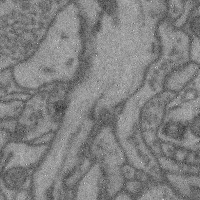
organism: Mouse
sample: Cerebral cortex